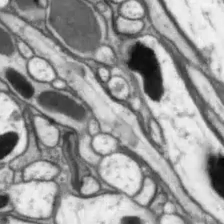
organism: Drosophila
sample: Optic lobe